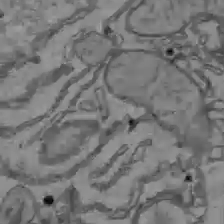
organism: C57BL Mouse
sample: Liver